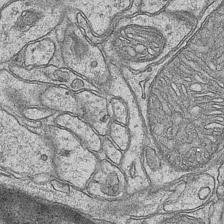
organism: Mouse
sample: CA1 Hippocampus